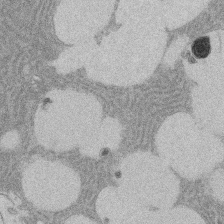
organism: Rat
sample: Salivary granule